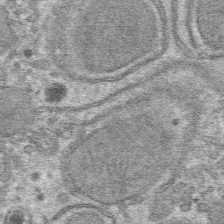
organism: Mouse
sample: Mouse hepatocytes